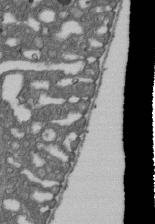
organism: Drosophila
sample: Nephrocyte